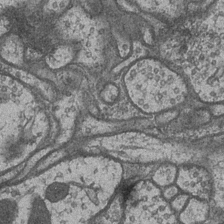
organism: Drosophila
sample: Optic medulla